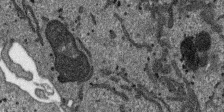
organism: Human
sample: Lung epithelial cells infected with SARS-CoV-2